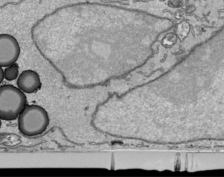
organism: Human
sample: Mitochondria in HCT116 cells